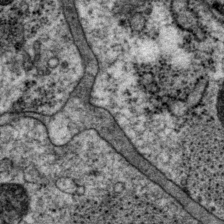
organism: P. pacificus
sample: Pharynx